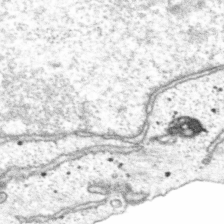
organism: Human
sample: HeLa cells